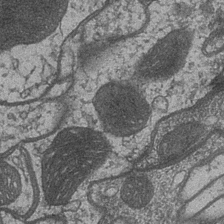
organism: Drosophila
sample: Optic medulla